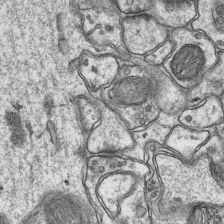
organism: Mouse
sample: CA1 Hippocampus